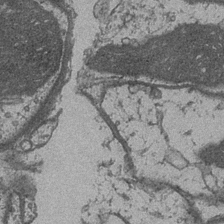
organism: Drosophila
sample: Optic medulla